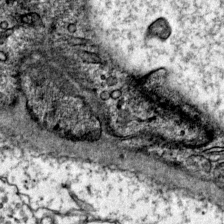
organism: Mouse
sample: Primary visual cortex